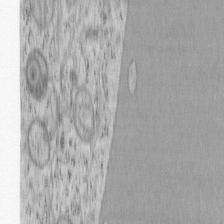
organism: Human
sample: HeLa cells